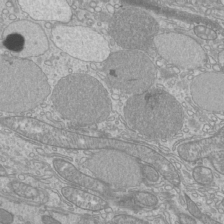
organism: Mouse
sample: Cilia; mouse epididymis